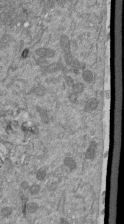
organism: Mouse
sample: ED-1 cell nuclei; centrioles